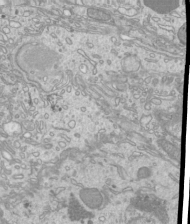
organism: Mouse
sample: Cilia; mouse epididymis